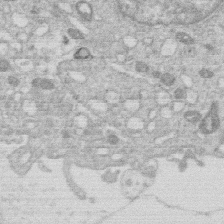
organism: Human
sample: Macrophage cells